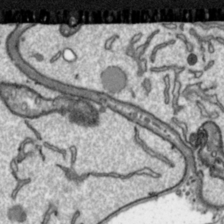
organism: Toxoplasma gondii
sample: Parasites in a vacuole inside a host cell